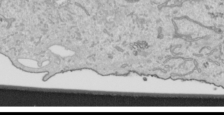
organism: Human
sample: Mitochondria in HCT116 cells